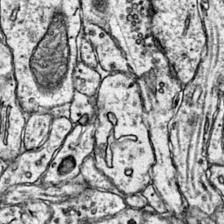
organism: Mouse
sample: Primary visual cortex